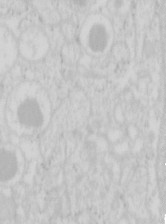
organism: Mouse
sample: Pancreas